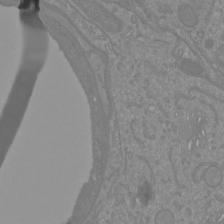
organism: Mouse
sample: Cortical neurons